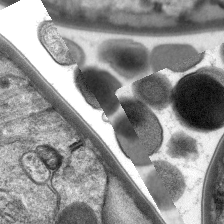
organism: C. elegans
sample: Pharynx